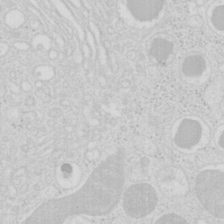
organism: Mouse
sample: Pancreas